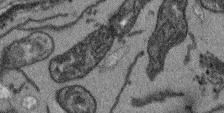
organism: Arabidopsis thaliana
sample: Root tip